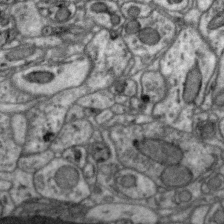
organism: Zebra finch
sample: Brain